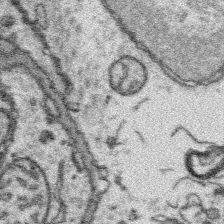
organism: Platynereis dumerilii